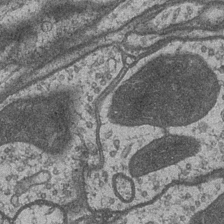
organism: Drosophila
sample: Optic medulla